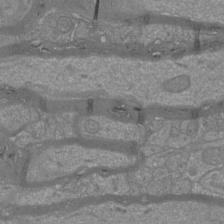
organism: Mouse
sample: Cortical neurons